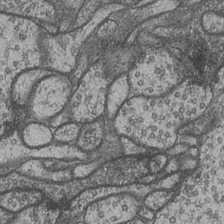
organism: Drosophila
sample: Optic medulla